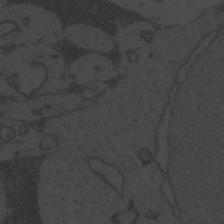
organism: Zebrafish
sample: Macrophage infected with Toxoplasma gondii